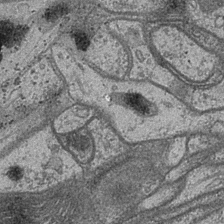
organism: Drosophila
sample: Optic medulla